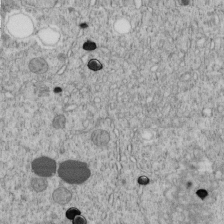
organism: C. elegans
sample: C. elegans embryo early stage